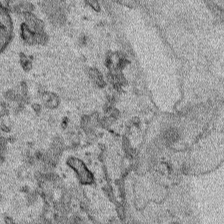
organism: Human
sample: Mitochondria in HCT116 cells